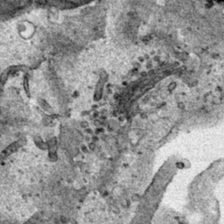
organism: Human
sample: Mitochondria in HCT116 cells